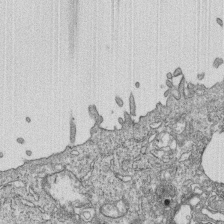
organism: Human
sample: HeLa cell HIV synapse